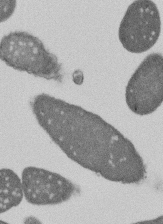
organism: E. coli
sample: Bacterial nucleoid